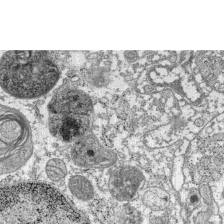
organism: C57BL Mouse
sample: Pancreatic islet